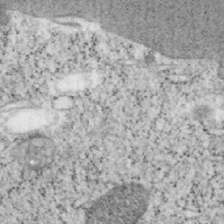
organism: Mouse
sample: OT-I killer T cells with ID8 ovarian cancer cells